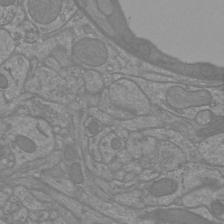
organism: Mouse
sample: Cortical neurons